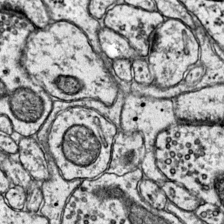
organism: Mouse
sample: Primary visual cortex